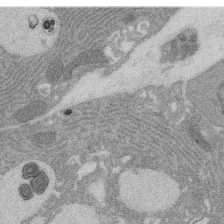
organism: Rat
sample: Salivary granule